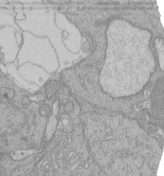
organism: Human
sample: Retinal organoid Rod and Cone cells